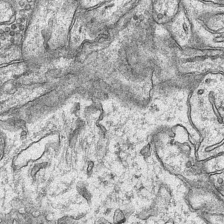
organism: Mouse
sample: CA1 Hippocampus